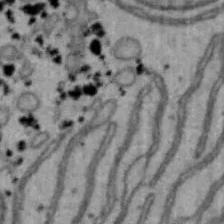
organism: Mouse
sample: Liver